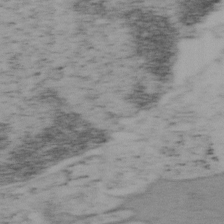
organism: Mouse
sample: OT-I killer T cells with ID8 ovarian cancer cells